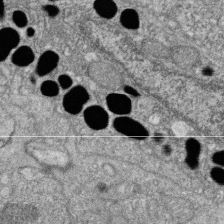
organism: Zebrafish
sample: Cilia; retinal pigment epithelium